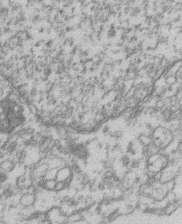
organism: Mouse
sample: T cell stromal cell synapse